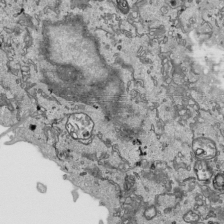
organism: Human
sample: Mitochondria in HCT116 cells